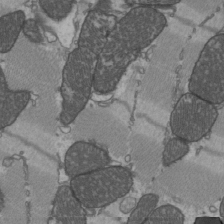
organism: C57BL Mouse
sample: Heart